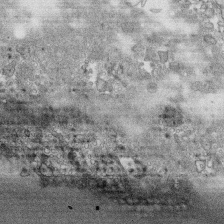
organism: Human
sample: CRL-1474